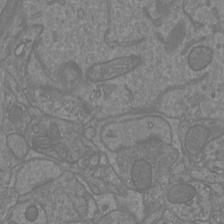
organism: Mouse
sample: Cortical neurons